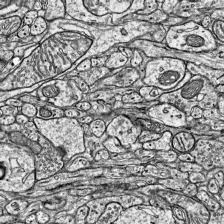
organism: Mouse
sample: Visual Cortex